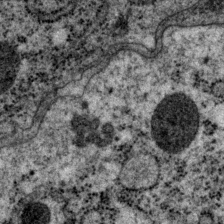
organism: P. pacificus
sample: Pharynx